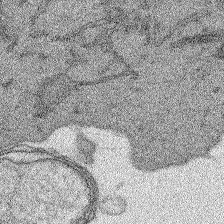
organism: Human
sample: HeLa cells